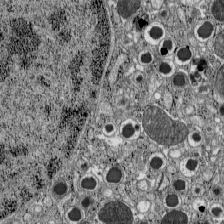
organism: C57BL Mouse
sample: Pancreatic islet